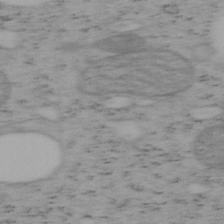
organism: Mouse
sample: OT-I killer T cells with ID8 ovarian cancer cells